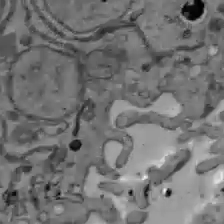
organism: C57BL Mouse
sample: Liver